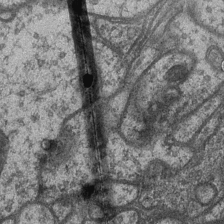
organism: Drosophila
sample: Optic medulla